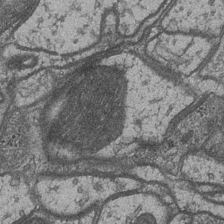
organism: Drosophila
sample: Optic medulla